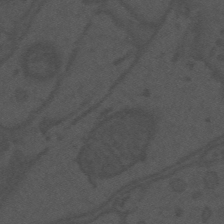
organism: Mouse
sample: Suprachiasmatic nucleus